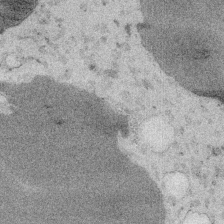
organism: Embia sp.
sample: Silk gland